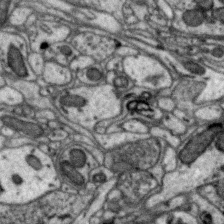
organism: Zebra finch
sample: Brain